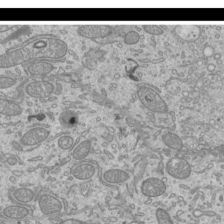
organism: Mouse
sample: Cilia; mouse epididymis